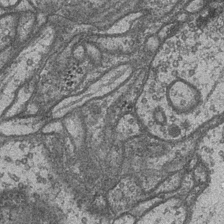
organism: Drosophila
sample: Optic medulla